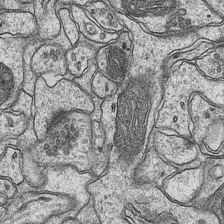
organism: Mouse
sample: CA1 Hippocampus